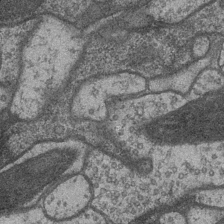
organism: Drosophila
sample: Optic medulla